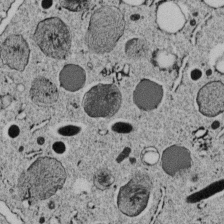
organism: C. elegans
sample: C. elegans embryo early stage